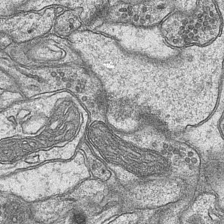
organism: Mouse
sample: CA1 Hippocampus